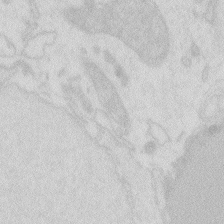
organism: Zebrafish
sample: Macrophage